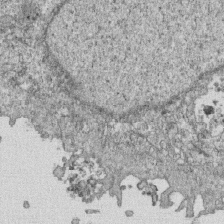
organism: Human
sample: HeLa cell HIV synapse